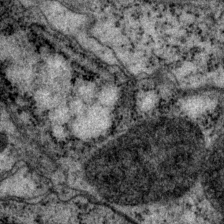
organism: P. pacificus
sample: Pharynx